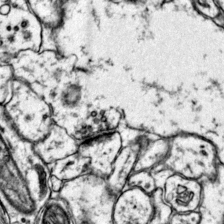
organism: Mouse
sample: Primary visual cortex